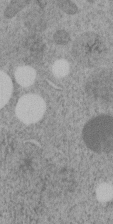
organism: C. elegans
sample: C. elegans embryo early stage